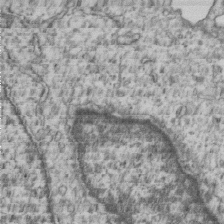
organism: Human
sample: MDA-MB-231 cells